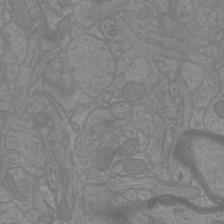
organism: Mouse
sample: Cortical neurons